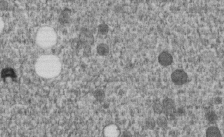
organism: C. elegans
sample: C. elegans embryo early stage